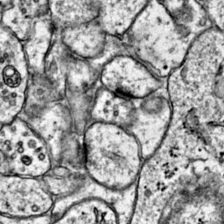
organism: Mouse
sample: Primary visual cortex